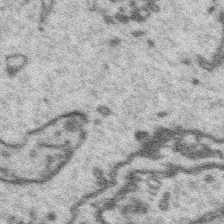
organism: Platynereis dumerilii